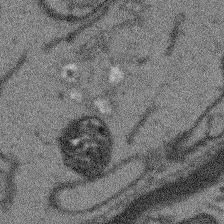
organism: Arabidopsis thaliana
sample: Root tip